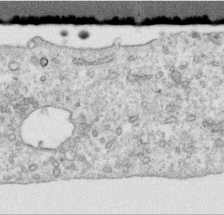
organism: Human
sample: Centriole in RPE cells